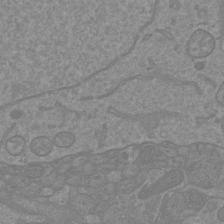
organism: Mouse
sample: Cortical neurons